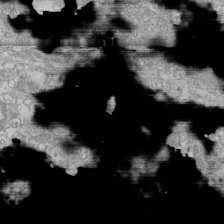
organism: Human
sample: CRL-1474